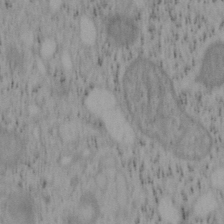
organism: Mouse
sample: OT-I killer T cells with ID8 ovarian cancer cells